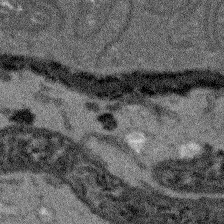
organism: Arabidopsis thaliana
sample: Root tip